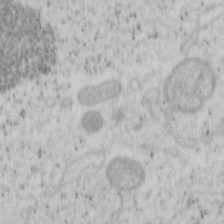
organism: Human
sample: HeLa cells